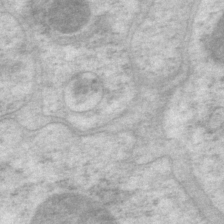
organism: P. pacificus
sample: Pharynx